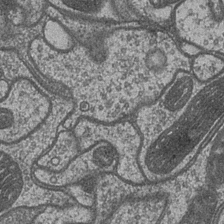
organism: Drosophila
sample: Optic medulla